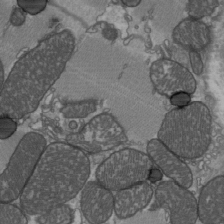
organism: C57BL Mouse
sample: Heart